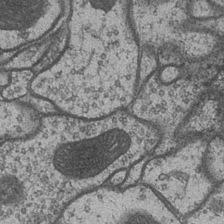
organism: Drosophila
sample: Optic medulla